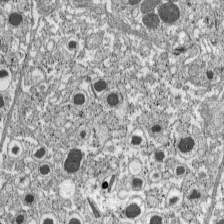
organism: C57BL Mouse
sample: Pancreatic islet